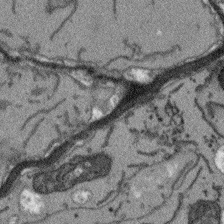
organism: Arabidopsis thaliana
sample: Root tip